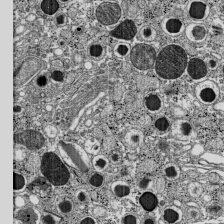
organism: C57BL Mouse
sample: Pancreatic islet